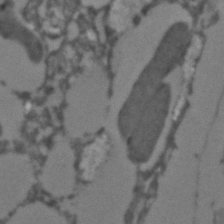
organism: C. elegans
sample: C. elegans embryo